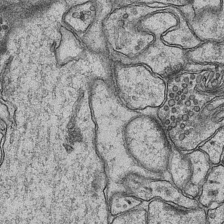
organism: Mouse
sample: CA1 Hippocampus